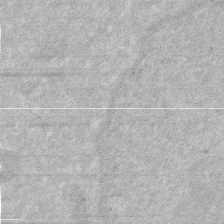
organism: Human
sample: HIV infected U937 cells